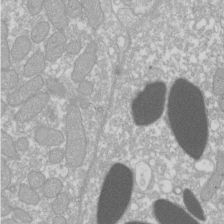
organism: Xenopus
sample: Cilia; centrioles in frog embryo cells